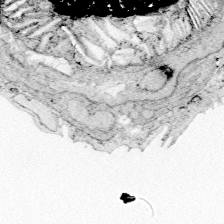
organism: Zebrafish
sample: Whole-Brain